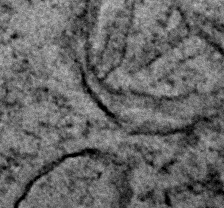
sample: Trachea